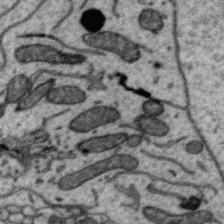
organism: Zebra finch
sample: Brain